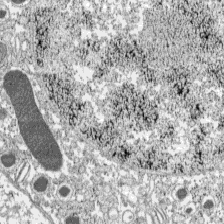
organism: C57BL Mouse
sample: Pancreatic islet